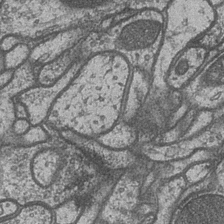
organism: Drosophila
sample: Optic medulla